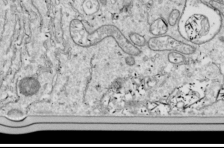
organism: Drosophila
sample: Cell division; meiosis; drosophila spermatocytes